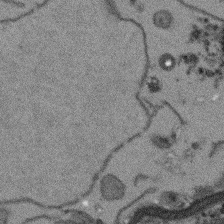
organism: Arabidopsis thaliana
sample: Root tip